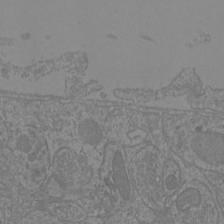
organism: Mouse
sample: Cortical neurons